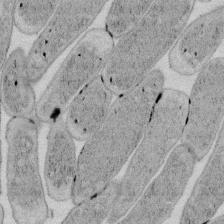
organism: E. coli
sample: Bacterial nucleoid